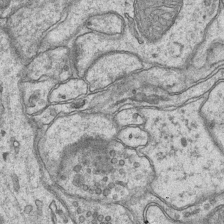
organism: Mouse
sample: CA1 Hippocampus